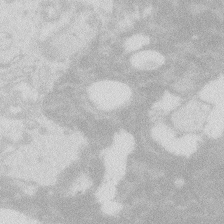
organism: Zebrafish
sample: Macrophage